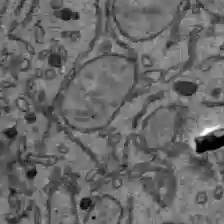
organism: C57BL Mouse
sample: Liver